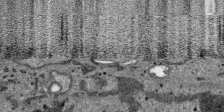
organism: Human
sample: Lung epithelial cells, uninfected (mock) control